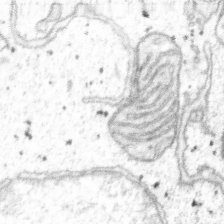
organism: Human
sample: HeLa cells